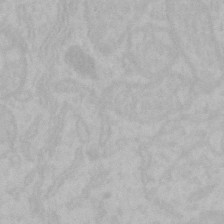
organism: Mouse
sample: Choroid plexus